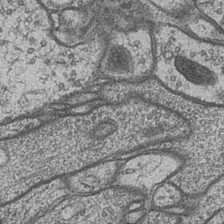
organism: Drosophila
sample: Optic medulla